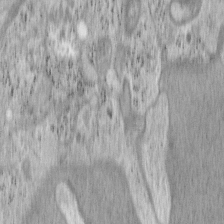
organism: Human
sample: HeLa cells